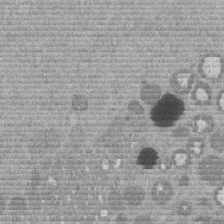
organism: Mouse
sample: Dividing mouse embryo 1 cell stage